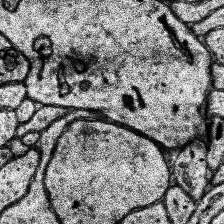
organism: Human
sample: Temporal Lobe